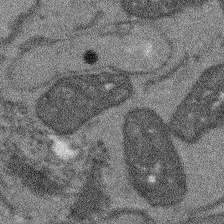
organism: Arabidopsis thaliana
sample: Root tip